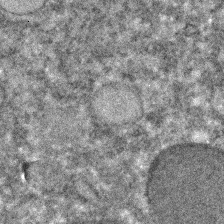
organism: C. elegans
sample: C. elegans embryo